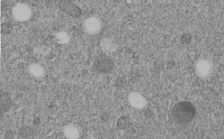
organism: C. elegans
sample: C. elegans embryo early stage